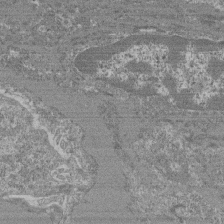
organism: Mouse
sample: Glomerulus